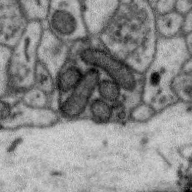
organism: Zebra finch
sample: Brain